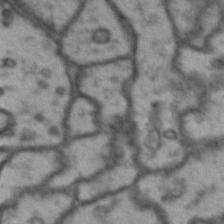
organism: Drosophila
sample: Brain